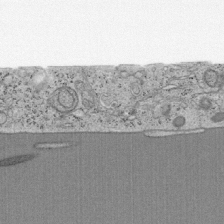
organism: Human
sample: HeLa cells